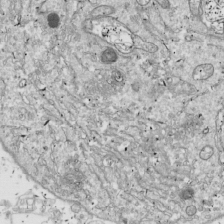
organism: Drosophila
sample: Cell division; meiosis; drosophila spermatocytes